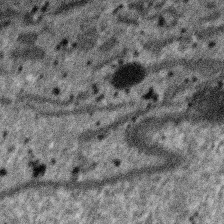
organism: Human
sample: Lung epithelial cells infected with SARS-CoV-2